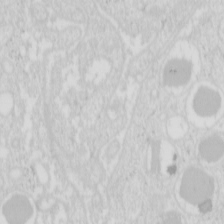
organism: Mouse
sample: Pancreas